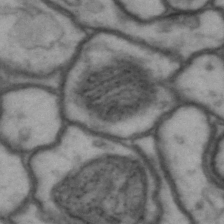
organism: Drosophila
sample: Brain